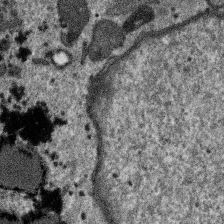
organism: Human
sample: Lung epithelial cells infected with SARS-CoV-2